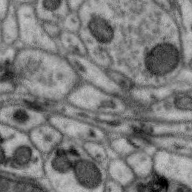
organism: Zebra finch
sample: Brain